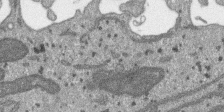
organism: Human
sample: Lung epithelial cells infected with SARS-CoV-2